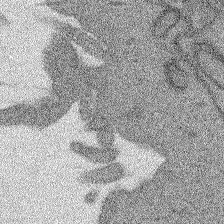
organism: Human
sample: HeLa cells